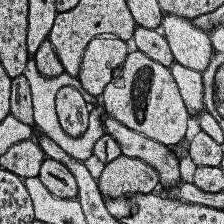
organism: Human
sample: Temporal Lobe